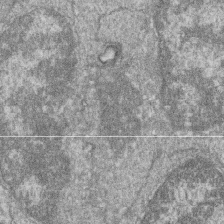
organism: Zebrafish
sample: Cilia; retinal pigment epithelium